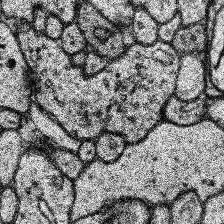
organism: Human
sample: Temporal Lobe